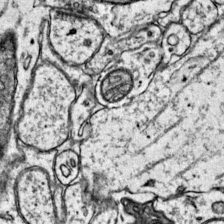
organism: Mouse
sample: Primary visual cortex